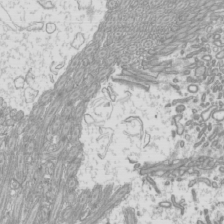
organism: Mouse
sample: Cilia; mouse epididymis